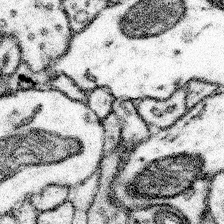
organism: Mouse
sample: Somatosensory cortex neuropil